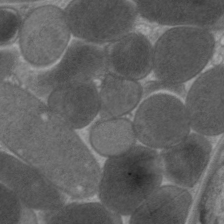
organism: C. elegans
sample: Pharynx